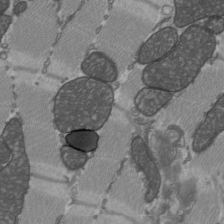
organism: C57BL Mouse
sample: Heart